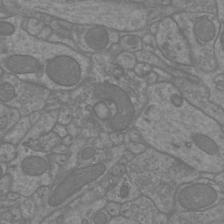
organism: Mouse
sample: Cortical neurons